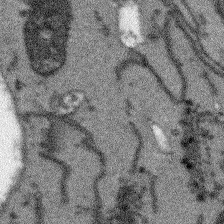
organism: Arabidopsis thaliana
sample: Root tip